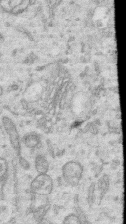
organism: Human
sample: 1205lu cells